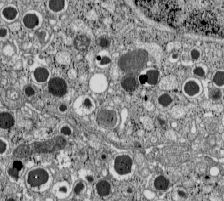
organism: C57BL Mouse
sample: Pancreatic islet